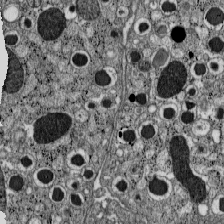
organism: C57BL Mouse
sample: Pancreatic islet